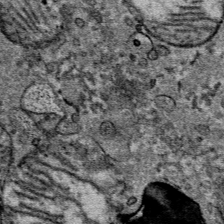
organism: Mouse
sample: Mouse Salivary gland